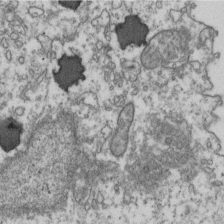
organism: Human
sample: Activated Jurkat CD4+ T cells